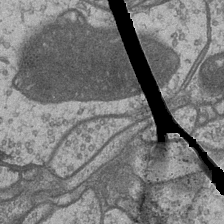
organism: Drosophila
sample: Optic medulla